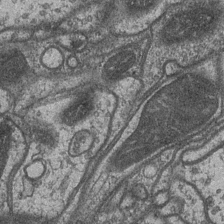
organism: Drosophila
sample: Optic medulla